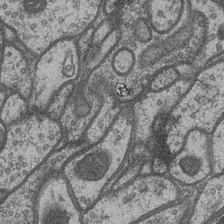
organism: Drosophila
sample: Optic medulla